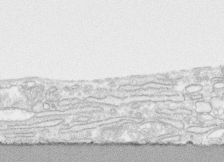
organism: Human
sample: CRL-1474